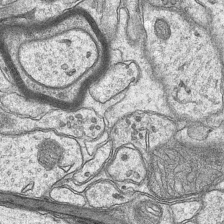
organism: Mouse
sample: CA1 Hippocampus